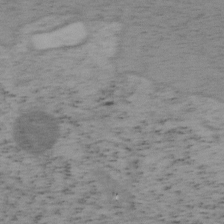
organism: Mouse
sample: OT-I killer T cells with ID8 ovarian cancer cells